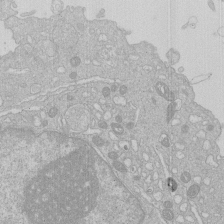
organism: Human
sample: Macrophage cells